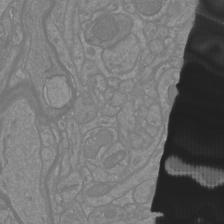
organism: Mouse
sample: Cortical neurons